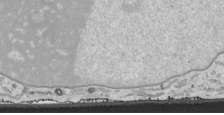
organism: Human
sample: Mitochondria in HCT116 cells